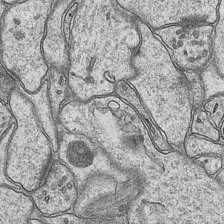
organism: Mouse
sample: CA1 Hippocampus